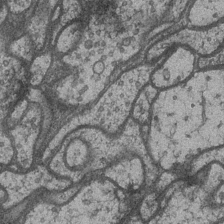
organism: Drosophila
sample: Optic medulla